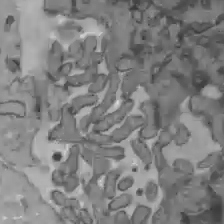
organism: C57BL Mouse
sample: Liver